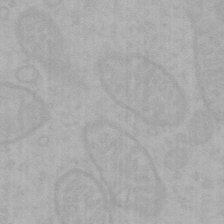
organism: Mouse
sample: Choroid plexus